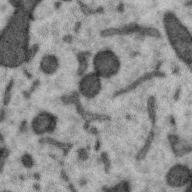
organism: Zebra finch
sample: Brain